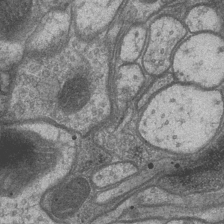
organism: Drosophila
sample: Optic medulla